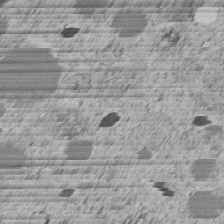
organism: C. elegans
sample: C. elegans embryo early stage